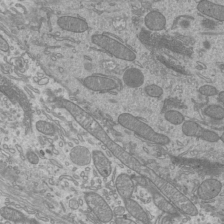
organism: Mouse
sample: Cilia; mouse epididymis